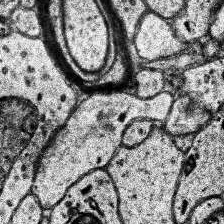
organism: Human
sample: Temporal Lobe